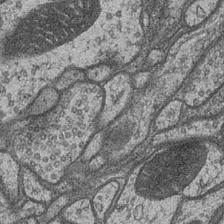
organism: Drosophila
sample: Optic medulla